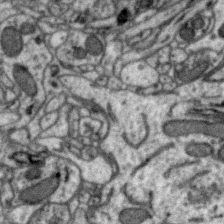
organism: Zebra finch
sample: Brain